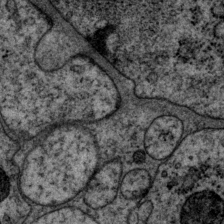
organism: P. pacificus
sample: Pharynx